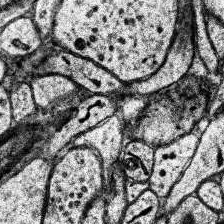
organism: Human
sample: Temporal Lobe